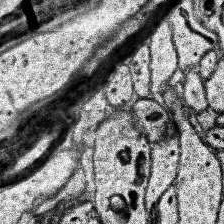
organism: Human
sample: Temporal Lobe